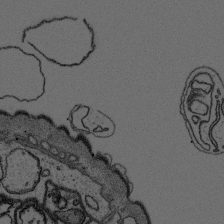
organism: Platynereis dumerilii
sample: Parapodia